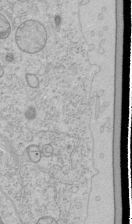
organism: Human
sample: Mitochondria in HCT116 cells